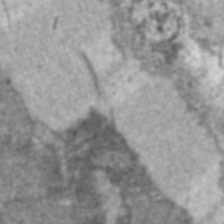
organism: C57BL Mouse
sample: Heart